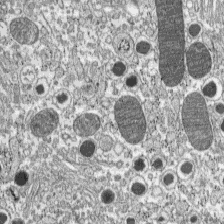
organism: C57BL Mouse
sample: Pancreatic islet